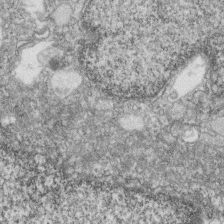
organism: Zebrafish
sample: Cilia; retinal pigment epithelium